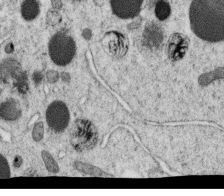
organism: C. elegans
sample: C. elegans oocyte; sperm cells